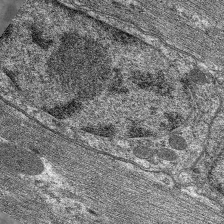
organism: C. elegans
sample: Pharynx